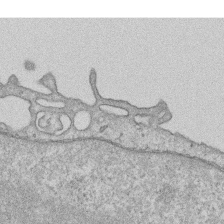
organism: Human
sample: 1205lu cells